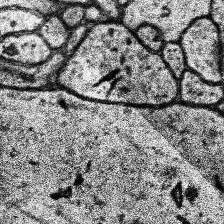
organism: Human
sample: Temporal Lobe